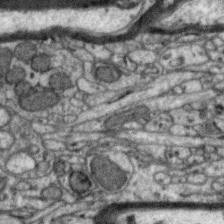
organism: Zebra finch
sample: Brain